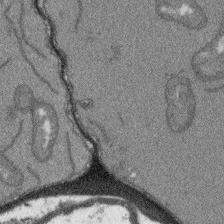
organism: Arabidopsis thaliana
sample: Root tip